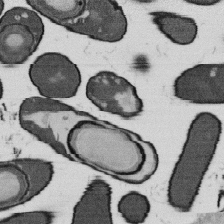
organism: B. subtilis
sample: Bacterial spore